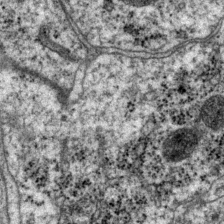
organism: P. pacificus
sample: Pharynx